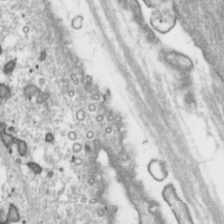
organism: Toxoplasma gondii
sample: Parasites in a vacuole inside a host cell